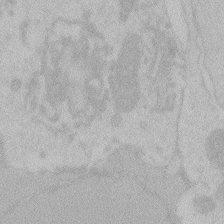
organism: Zebrafish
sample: Macrophage infected with Toxoplasma gondii